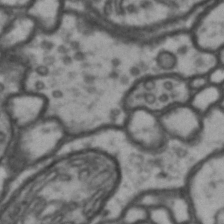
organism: Drosophila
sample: Brain